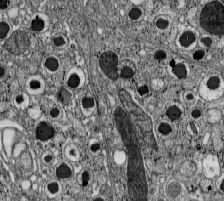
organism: C57BL Mouse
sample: Pancreatic islet